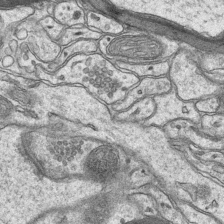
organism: Mouse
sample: CA1 Hippocampus